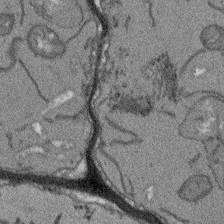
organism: Arabidopsis thaliana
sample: Root tip